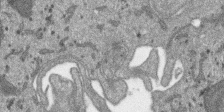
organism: Human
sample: Lung epithelial cells infected with SARS-CoV-2